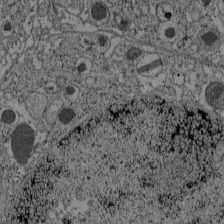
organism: C57BL Mouse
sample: Pancreatic islet